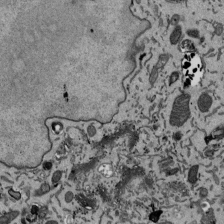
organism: Mouse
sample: ED-1 cell nuclei; centrioles